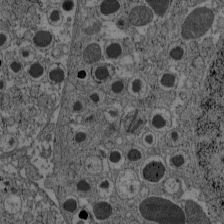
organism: C57BL Mouse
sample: Pancreatic islet